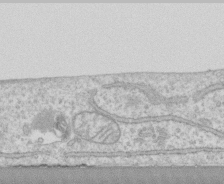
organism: Human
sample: CRL-1474